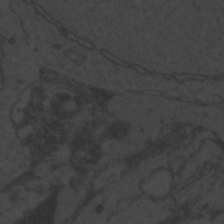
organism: Zebrafish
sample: Macrophage infected with Toxoplasma gondii